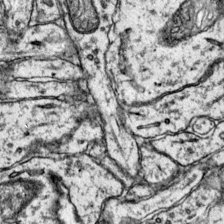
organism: Mouse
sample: Primary visual cortex